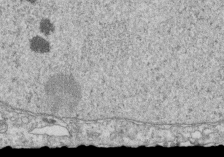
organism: Human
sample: HeLa cell HIV synapse